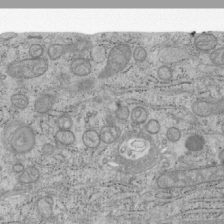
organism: Human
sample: HeLa cells